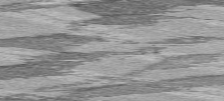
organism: C57BL Mouse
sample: Heart